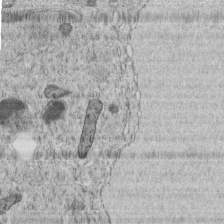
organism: C. elegans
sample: C. elegans embryo early stage